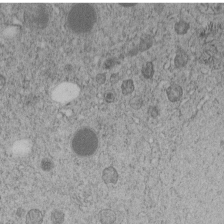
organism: C. elegans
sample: C. elegans embryo early stage